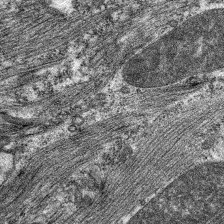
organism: C. elegans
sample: Pharynx